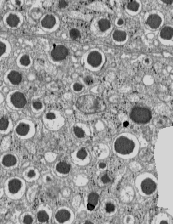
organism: C57BL Mouse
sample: Pancreatic islet